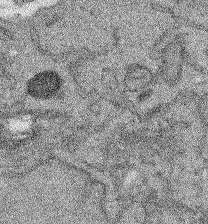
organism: Human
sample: HeLa cells